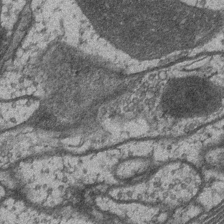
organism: Drosophila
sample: Optic medulla